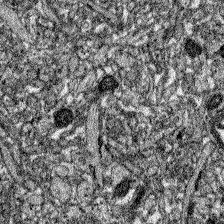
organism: Zebrafish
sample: Larval olfactory bulb